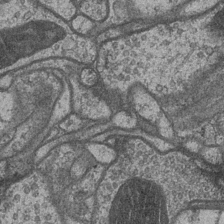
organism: Drosophila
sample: Optic medulla